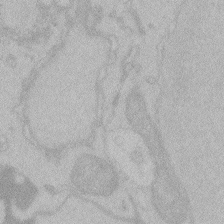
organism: Zebrafish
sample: Macrophage infected with Toxoplasma gondii